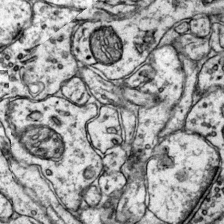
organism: Mouse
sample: Primary visual cortex